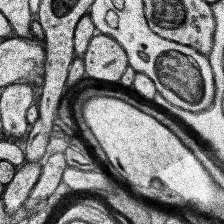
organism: Human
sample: Temporal Lobe